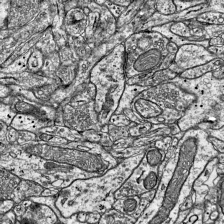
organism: Mouse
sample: Visual Cortex